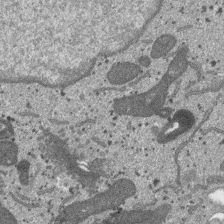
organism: Human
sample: Lung epithelial cells infected with SARS-CoV-2